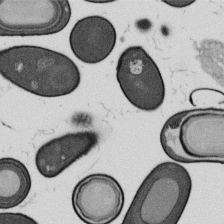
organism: B. subtilis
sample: Bacterial spore